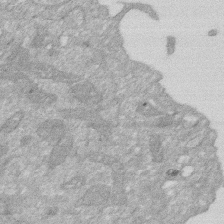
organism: Human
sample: HIV infected U937 cells